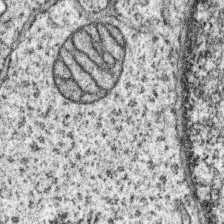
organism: Human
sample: HeLa cells